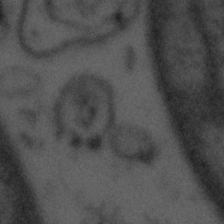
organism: Tuwongella immobilis